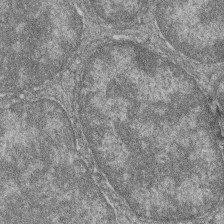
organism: Zebrafish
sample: Cilia; retinal pigment epithelium